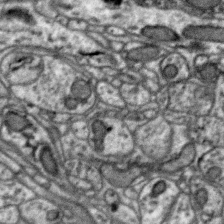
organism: Zebra finch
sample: Brain